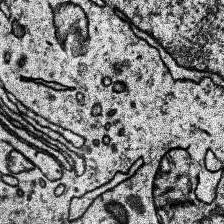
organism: Human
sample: Temporal Lobe